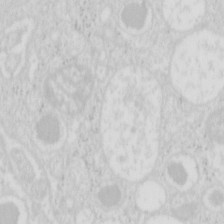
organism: Mouse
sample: Pancreas